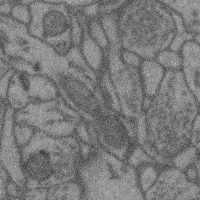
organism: Mouse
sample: Cerebral cortex